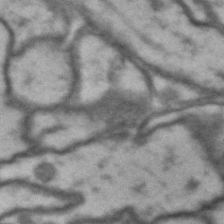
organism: Drosophila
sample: Brain